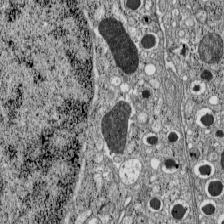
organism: C57BL Mouse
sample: Pancreatic islet